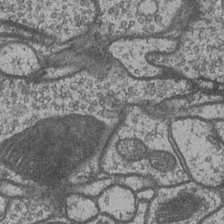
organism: Drosophila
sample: Optic medulla